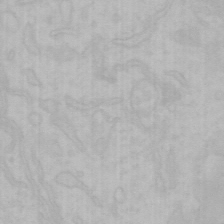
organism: Mouse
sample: Choroid plexus